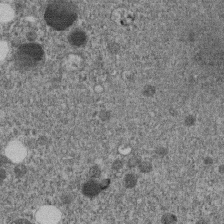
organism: C. elegans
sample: C. elegans embryo early stage